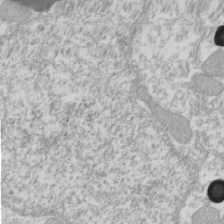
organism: Xenopus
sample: Cilia; centrioles in frog embryo cells